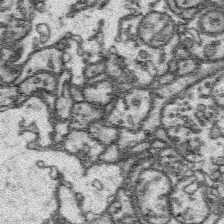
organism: Platynereis dumerilii